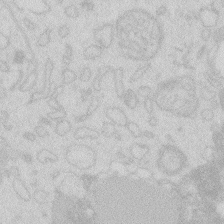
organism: Zebrafish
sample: Macrophage